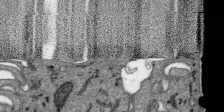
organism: Human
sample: Lung epithelial cells, uninfected (mock) control